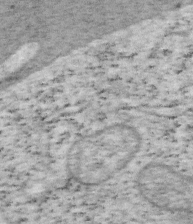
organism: Mouse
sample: OT-I killer T cells with ID8 ovarian cancer cells